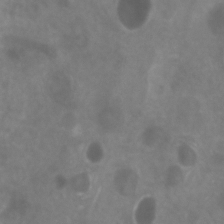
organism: Zebrafish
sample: Zebrafish embryo